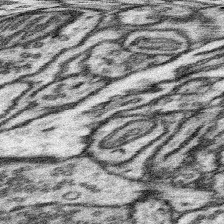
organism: Mouse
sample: Somatosensory cortex neuropil